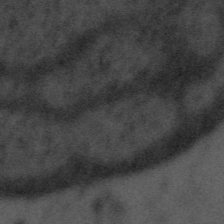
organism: Tuwongella immobilis